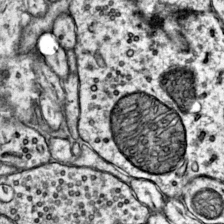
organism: Mouse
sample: Primary visual cortex